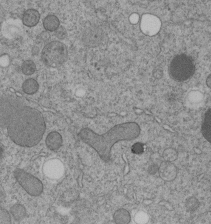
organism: C. elegans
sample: C. elegans embryo early stage